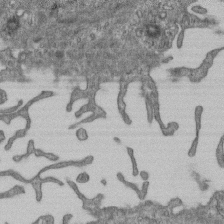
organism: Mouse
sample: Centriole in ependymal cells